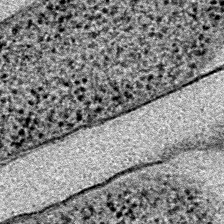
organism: E. coli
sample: E. Coli Bacteria